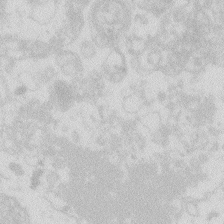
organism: Zebrafish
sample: Macrophage